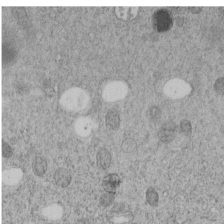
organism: C. elegans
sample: C. elegans embryo early stage